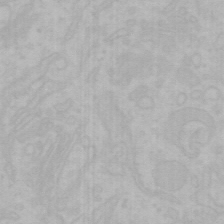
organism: Mouse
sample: Choroid plexus